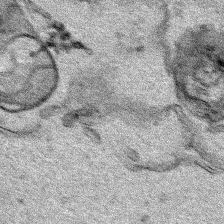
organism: Human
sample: Mitochondria in HCT116 cells